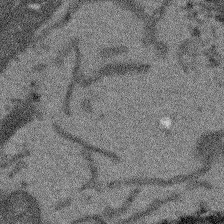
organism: Arabidopsis thaliana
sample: Root tip